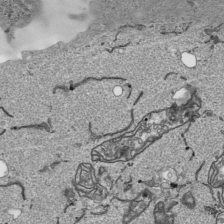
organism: Human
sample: Mitochondria in HCT116 cells